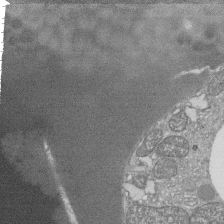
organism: Tetrahymena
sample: Cilia in tetrahymena